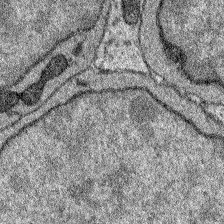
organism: Zebrafish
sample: Larval olfactory bulb